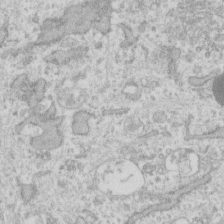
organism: Human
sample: Fibroblast cells